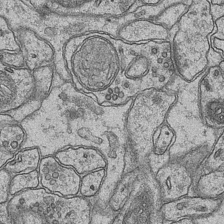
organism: Mouse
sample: CA1 Hippocampus